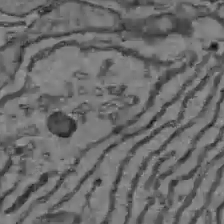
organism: C57BL Mouse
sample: Liver